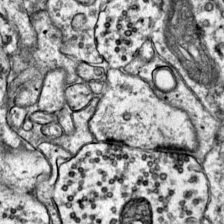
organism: Mouse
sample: Primary visual cortex